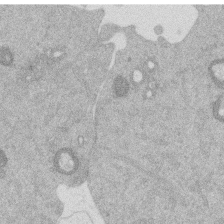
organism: Mouse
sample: Dividing mouse embryo 1 cell stage